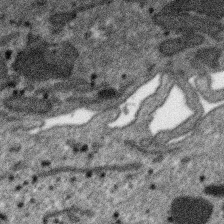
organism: Human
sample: Lung epithelial cells infected with SARS-CoV-2